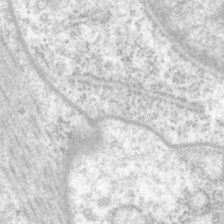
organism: P. pacificus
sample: Pharynx